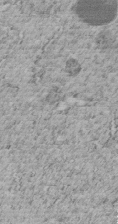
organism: C. elegans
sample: C. elegans embryo early stage